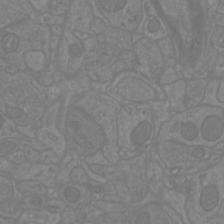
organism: Mouse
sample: Cortical neurons